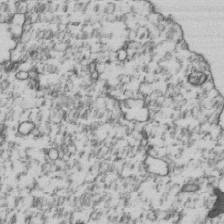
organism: Human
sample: Activated Jurkat CD4+ T cells